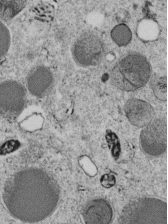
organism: C. elegans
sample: C. elegans embryo early stage